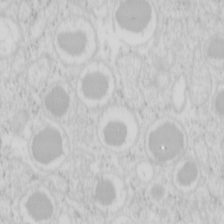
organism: Mouse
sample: Pancreas